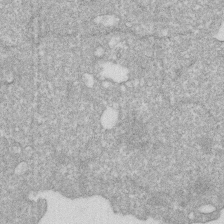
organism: Human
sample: HIV infected U937 cells